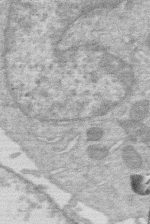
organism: Human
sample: Macrophage cells